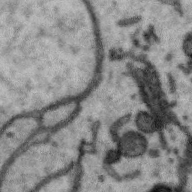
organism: Zebra finch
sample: Brain